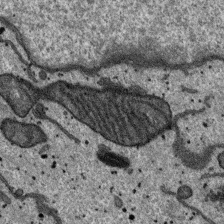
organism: Human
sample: Lung epithelial cells, uninfected (mock) control